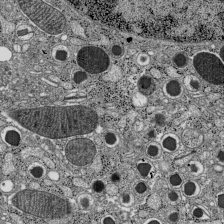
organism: C57BL Mouse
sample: Pancreatic islet